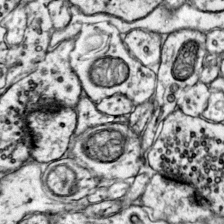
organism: Mouse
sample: Primary visual cortex